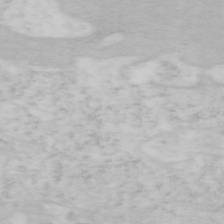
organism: Mouse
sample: OT-I killer T cells with ID8 ovarian cancer cells